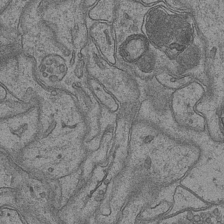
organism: Mouse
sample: CA1 Hippocampus